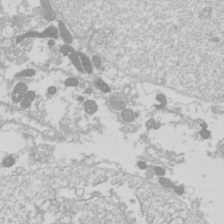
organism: Drosophila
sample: Cell division; meiosis; drosophila spermatocytes